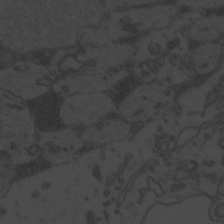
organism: Zebrafish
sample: Macrophage infected with Toxoplasma gondii